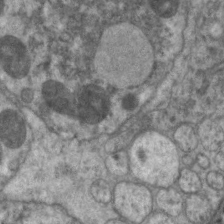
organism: C. elegans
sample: Pharynx